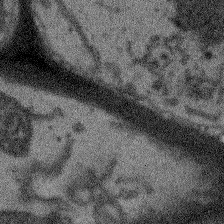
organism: Arabidopsis thaliana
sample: Root tip